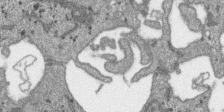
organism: Human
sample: Lung epithelial cells infected with SARS-CoV-2